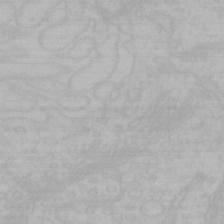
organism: Mouse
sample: Choroid plexus